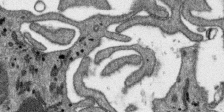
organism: Human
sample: Lung epithelial cells, uninfected (mock) control